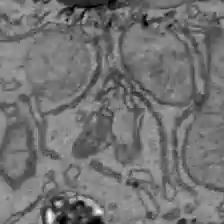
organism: C57BL Mouse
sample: Liver